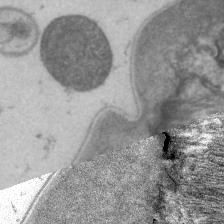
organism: C. elegans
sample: Pharynx